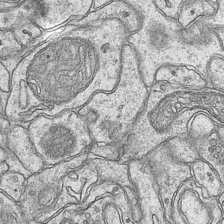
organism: Mouse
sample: CA1 Hippocampus